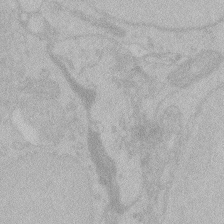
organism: Zebrafish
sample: Macrophage infected with Toxoplasma gondii